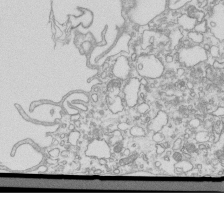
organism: Mouse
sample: Macrophages